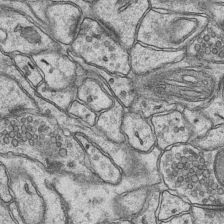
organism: Mouse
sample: CA1 Hippocampus